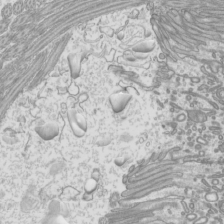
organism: Mouse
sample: Cilia; mouse epididymis